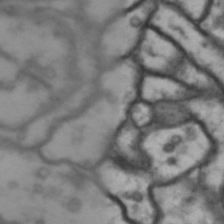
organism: Drosophila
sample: Brain